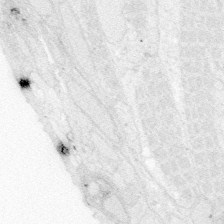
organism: Zebrafish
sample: Whole-Brain